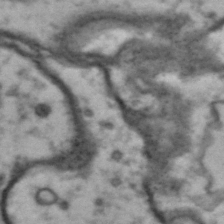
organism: Drosophila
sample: Brain